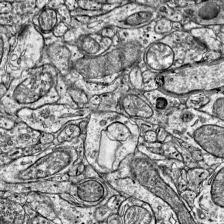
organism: Mouse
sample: Visual Cortex